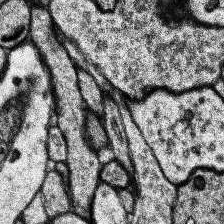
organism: Human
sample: Temporal Lobe